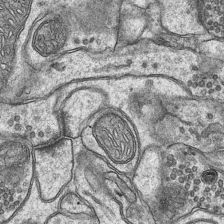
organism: Mouse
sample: CA1 Hippocampus